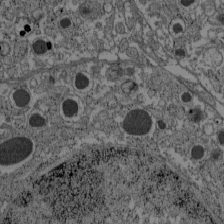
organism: C57BL Mouse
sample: Pancreatic islet